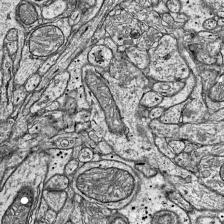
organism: Mouse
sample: Visual Cortex